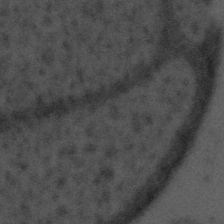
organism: Tuwongella immobilis